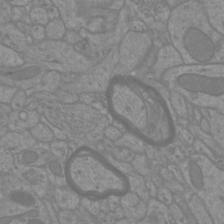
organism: Mouse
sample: Cortical neurons